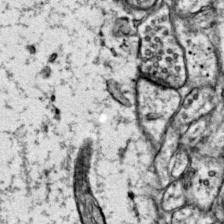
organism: Mouse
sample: Primary visual cortex